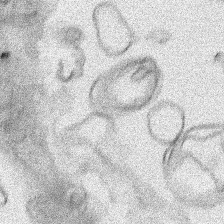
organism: Human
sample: Mitochondria in HCT116 cells